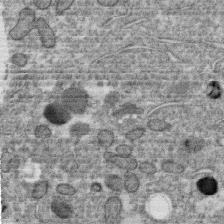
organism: C. elegans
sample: C. elegans oocyte; sperm cells